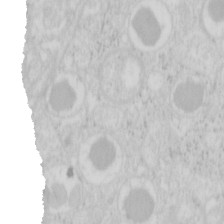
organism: Mouse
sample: Pancreas